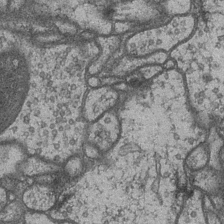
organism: Drosophila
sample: Optic medulla